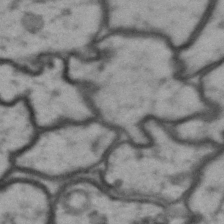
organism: Drosophila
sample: Brain